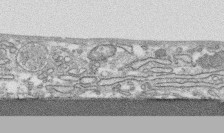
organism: Human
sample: CRL-1474